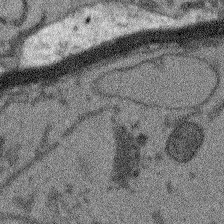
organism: Arabidopsis thaliana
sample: Root tip